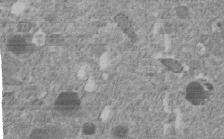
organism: C. elegans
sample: C. elegans embryo early stage